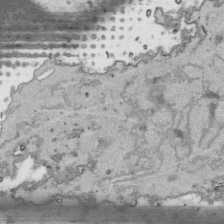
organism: Human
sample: Mitochondria in HCT116 cells